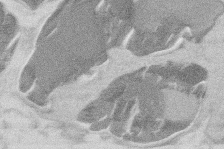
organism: Mouse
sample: T cell stromal cell synapse